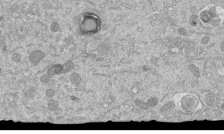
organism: Mouse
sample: ED-1 cell nuclei; centrioles